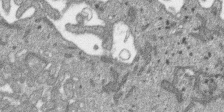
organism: Human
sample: Lung epithelial cells infected with SARS-CoV-2